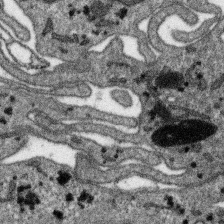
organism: Human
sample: Lung epithelial cells infected with SARS-CoV-2